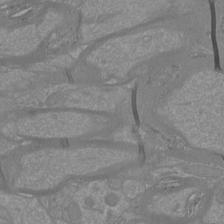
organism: Mouse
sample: Cortical neurons